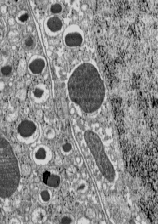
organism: C57BL Mouse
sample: Pancreatic islet